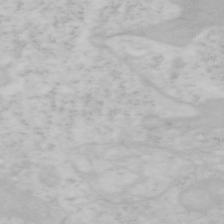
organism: Mouse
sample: OT-I killer T cells with ID8 ovarian cancer cells